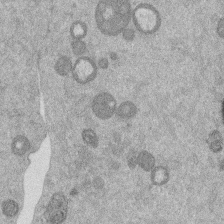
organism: Mouse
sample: Dividing mouse embryo 1 cell stage